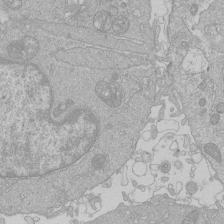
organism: Human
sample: Macrophage cells